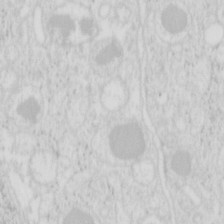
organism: Mouse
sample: Pancreas